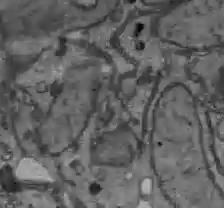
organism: C57BL Mouse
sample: Liver